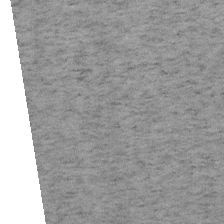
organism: Mouse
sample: OT-I killer T cells with ID8 ovarian cancer cells